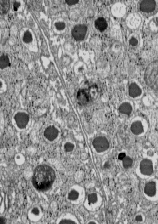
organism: C57BL Mouse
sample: Pancreatic islet